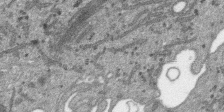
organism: Human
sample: Lung epithelial cells infected with SARS-CoV-2